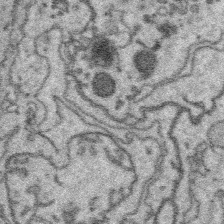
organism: Platynereis dumerilii